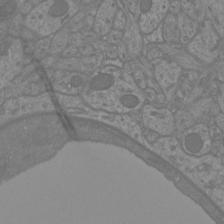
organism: Mouse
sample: Cortical neurons